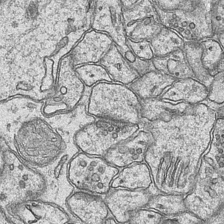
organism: Mouse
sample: CA1 Hippocampus